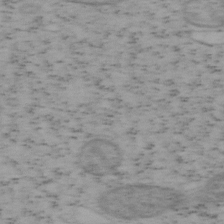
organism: Mouse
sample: OT-I killer T cells with ID8 ovarian cancer cells